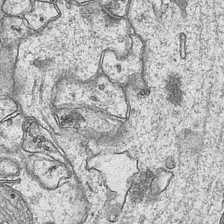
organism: Mouse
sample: CA1 Hippocampus